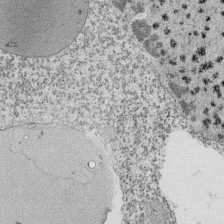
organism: Tetrahymena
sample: Cilia in tetrahymena